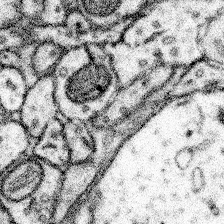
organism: Mouse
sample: Somatosensory cortex neuropil